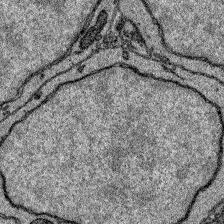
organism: Zebrafish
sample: Larval olfactory bulb